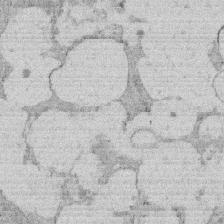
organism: Rat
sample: Salivary granule